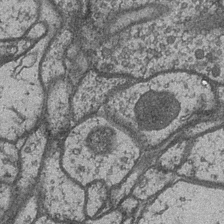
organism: Drosophila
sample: Optic medulla